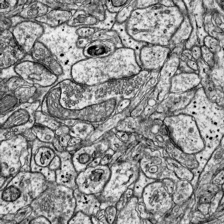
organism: Mouse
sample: Visual Cortex